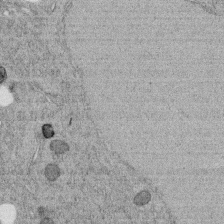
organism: C. elegans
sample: C. elegans embryo early stage